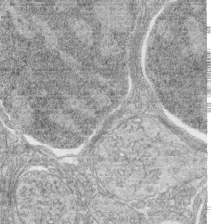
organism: Zebrafish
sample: synaptic ribbons in rod cells and cone cells